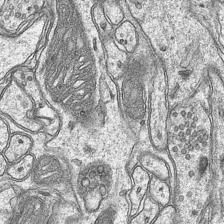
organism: Mouse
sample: CA1 Hippocampus